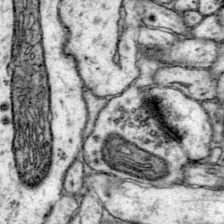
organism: Mouse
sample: Primary visual cortex